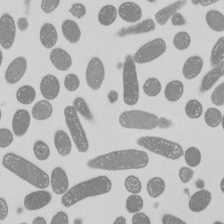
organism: E. coli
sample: Bacterial nucleoid